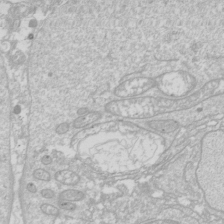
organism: Drosophila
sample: Cell division; meiosis; drosophila spermatocytes